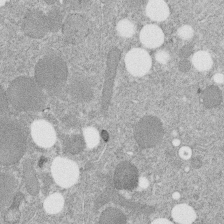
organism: C. elegans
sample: C. elegans embryo early stage